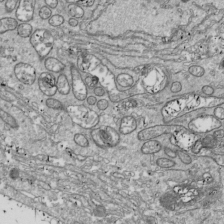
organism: Drosophila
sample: Cell division; meiosis; drosophila spermatocytes